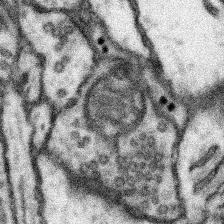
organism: Mouse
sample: Somatosensory cortex neuropil